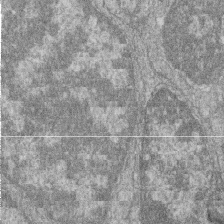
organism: Zebrafish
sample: Cilia; retinal pigment epithelium